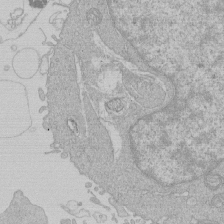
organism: Human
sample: Macrophage cells